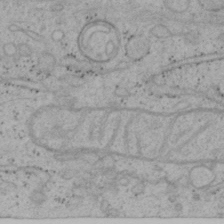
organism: Human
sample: HeLa cells